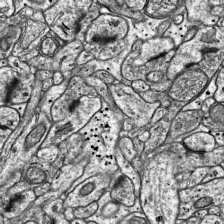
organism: Mouse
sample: Visual Cortex